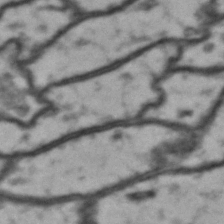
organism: Drosophila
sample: Brain